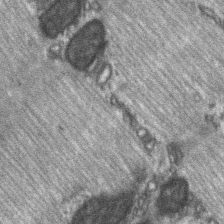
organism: C57BL Mouse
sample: Soleus